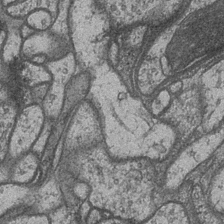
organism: Drosophila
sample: Optic medulla